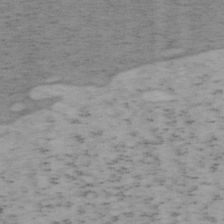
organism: Mouse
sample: OT-I killer T cells with ID8 ovarian cancer cells